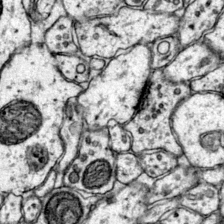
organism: Mouse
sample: Primary visual cortex